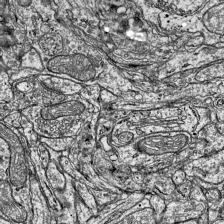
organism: Mouse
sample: Visual Cortex